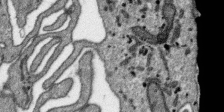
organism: Human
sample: Lung epithelial cells, uninfected (mock) control